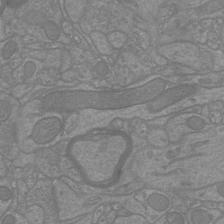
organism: Mouse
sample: Cortical neurons